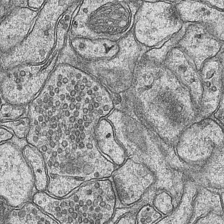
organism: Mouse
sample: CA1 Hippocampus